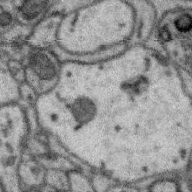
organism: Zebra finch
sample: Brain